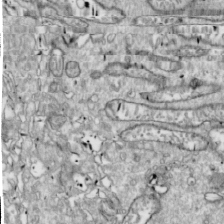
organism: Drosophila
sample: Cell division; meiosis; drosophila spermatocytes